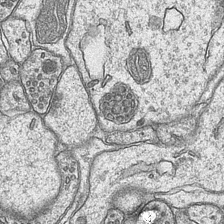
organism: Mouse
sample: CA1 Hippocampus